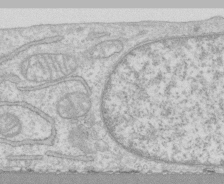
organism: Human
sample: CRL-1474